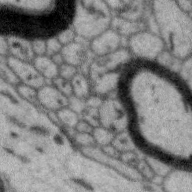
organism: Zebra finch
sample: Brain